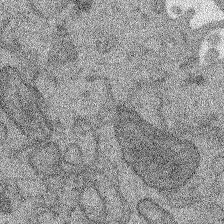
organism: Human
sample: HeLa cells